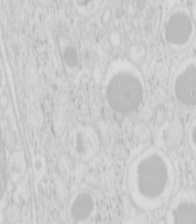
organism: Mouse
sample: Pancreas